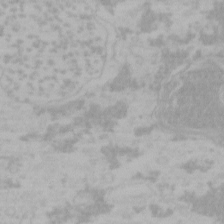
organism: Mouse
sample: Choroid plexus